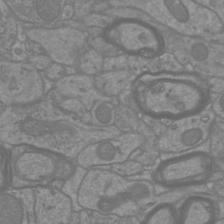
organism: Mouse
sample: Cortical neurons